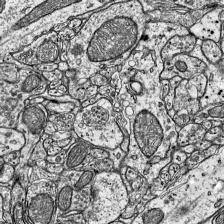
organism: Mouse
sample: Visual Cortex